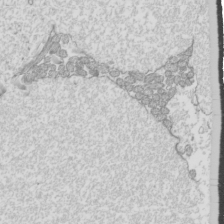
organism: Mouse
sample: Cilia; mouse epididymis